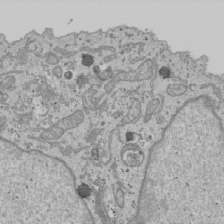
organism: Human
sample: Mitochondria in U2OS cells